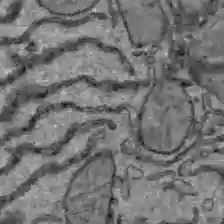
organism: C57BL Mouse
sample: Liver